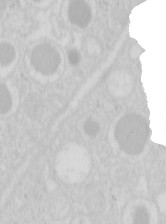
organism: Mouse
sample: Pancreas